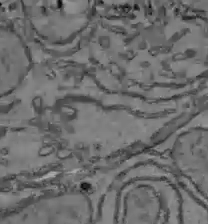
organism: C57BL Mouse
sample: Liver